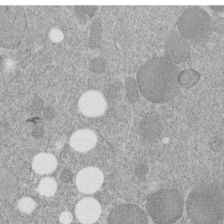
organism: C. elegans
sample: C. elegans embryo early stage